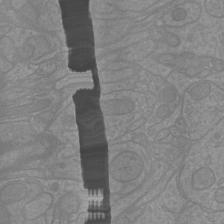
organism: Mouse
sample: Cortical neurons